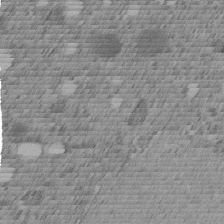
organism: C. elegans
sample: C. elegans embryo early stage